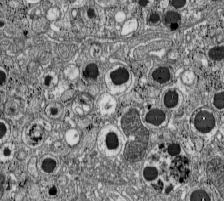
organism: C57BL Mouse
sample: Pancreatic islet